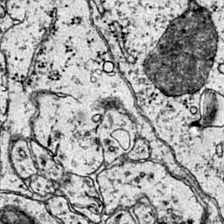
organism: Mouse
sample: Primary visual cortex